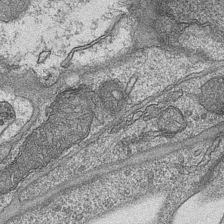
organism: Mouse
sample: CA1 Hippocampus